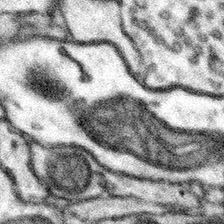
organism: Mouse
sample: Somatosensory cortex neuropil